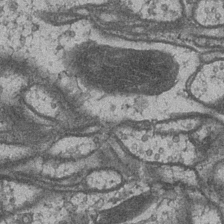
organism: Drosophila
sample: Optic medulla